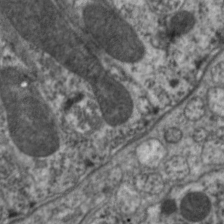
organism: C. elegans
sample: Pharynx